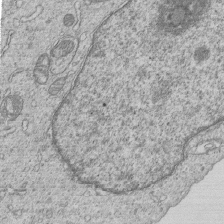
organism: Human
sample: MDA-MB-231 cells